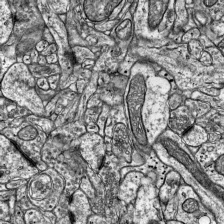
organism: Mouse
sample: Visual Cortex